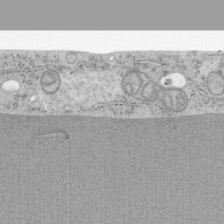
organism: Human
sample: HeLa cells